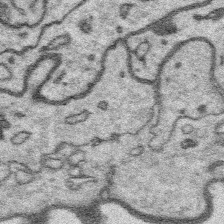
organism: Platynereis dumerilii